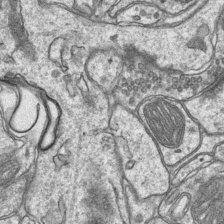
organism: Mouse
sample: CA1 Hippocampus